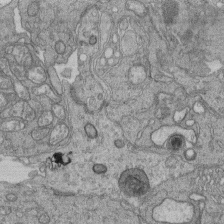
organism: Human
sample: Retinal organoid Rod and Cone cells